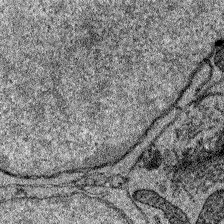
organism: Zebrafish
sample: Larval olfactory bulb